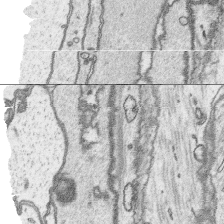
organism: Platynereis dumerilii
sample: Parapodia